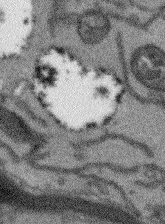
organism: Arabidopsis thaliana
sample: Root tip